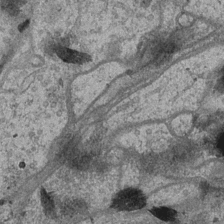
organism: Drosophila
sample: Optic medulla